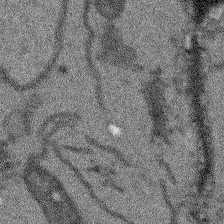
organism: Arabidopsis thaliana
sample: Root tip